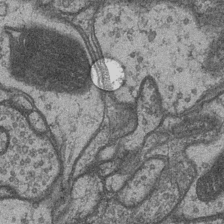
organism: Drosophila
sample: Optic medulla